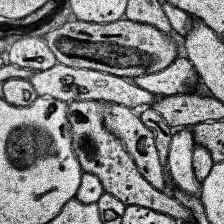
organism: Human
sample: Temporal Lobe